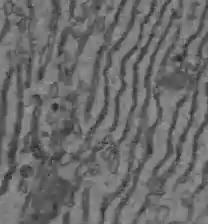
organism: C57BL Mouse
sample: Liver